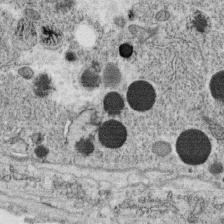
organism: C. elegans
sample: C. elegans oocyte; sperm cells